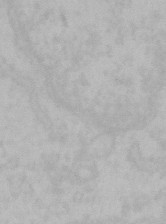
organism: Mouse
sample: Choroid plexus